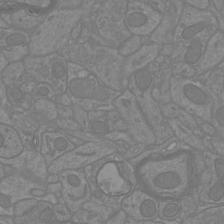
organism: Mouse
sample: Cortical neurons